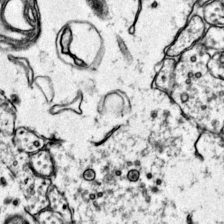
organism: Mouse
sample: Primary visual cortex